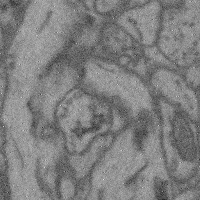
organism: Mouse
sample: Cerebral cortex